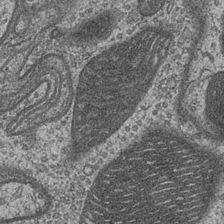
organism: Drosophila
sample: Optic medulla